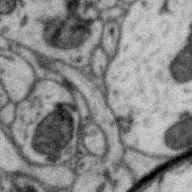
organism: Zebra finch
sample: Brain